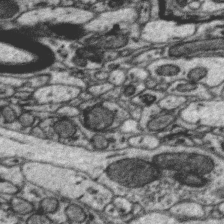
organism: Zebra finch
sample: Brain